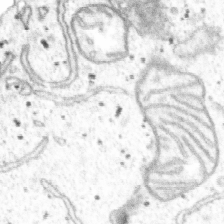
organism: Human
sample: HeLa cells